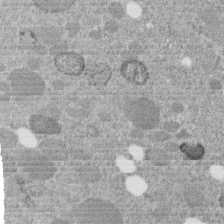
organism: C. elegans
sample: C. elegans embryo early stage